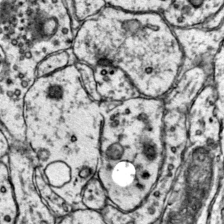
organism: Mouse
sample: Primary visual cortex